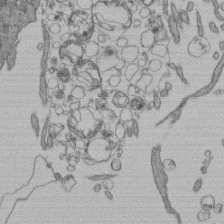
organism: Human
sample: Retinal organoid Rod and Cone cells